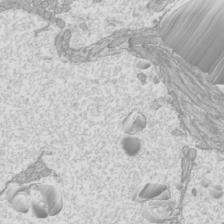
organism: Mouse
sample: Cilia; mouse epididymis